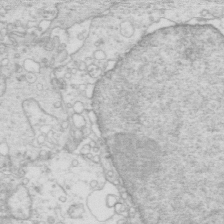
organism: Mouse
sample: Multiciliated cells